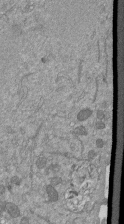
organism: Mouse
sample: ED-1 cell nuclei; centrioles